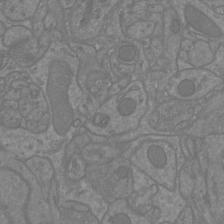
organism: Mouse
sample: Cortical neurons